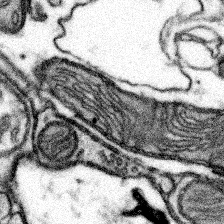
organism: Mouse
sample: Somatosensory cortex neuropil